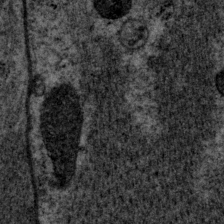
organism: P. pacificus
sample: Pharynx